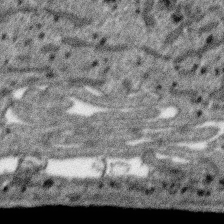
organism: Human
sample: Lung epithelial cells infected with SARS-CoV-2